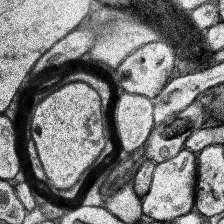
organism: Human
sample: Temporal Lobe